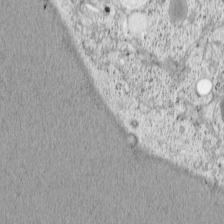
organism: African green monkey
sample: COS-7 cells